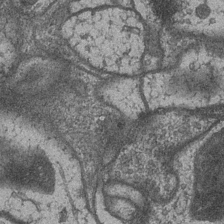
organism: Drosophila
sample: Optic medulla